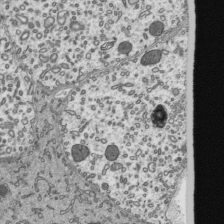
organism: Mouse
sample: Mouse epididymis efferent ductule cilia